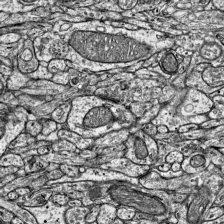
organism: Mouse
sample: Visual Cortex